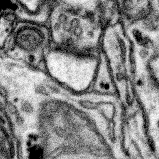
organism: Mouse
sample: Somatosensory cortex neuropil